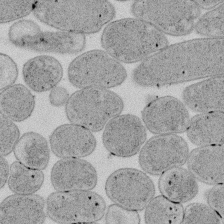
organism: E. coli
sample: Bacterial nucleoid